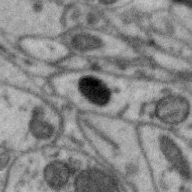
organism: Zebra finch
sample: Brain